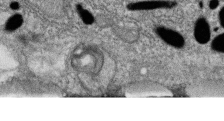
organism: Zebrafish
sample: Cilia; retinal pigment epithelium